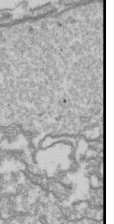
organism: Drosophila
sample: Cell division; meiosis; drosophila spermatocytes